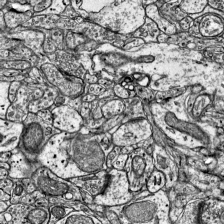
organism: Mouse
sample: Visual Cortex